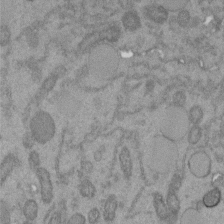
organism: C. elegans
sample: C. elegans embryo early stage